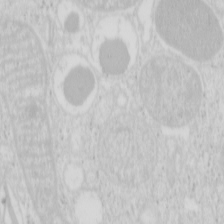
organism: Mouse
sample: Pancreas